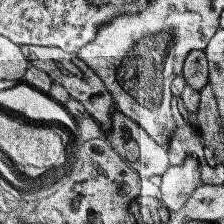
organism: Human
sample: Temporal Lobe